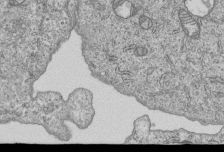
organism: Human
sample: MDA-MB-231 cells